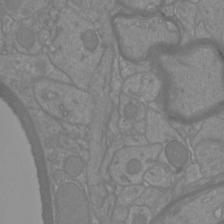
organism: Mouse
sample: Cortical neurons